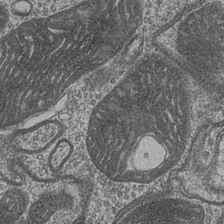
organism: Drosophila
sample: Optic medulla